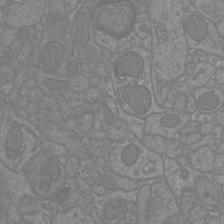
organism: Mouse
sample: Cortical neurons